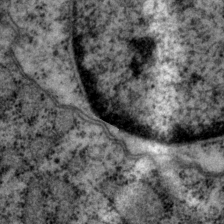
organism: P. pacificus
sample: Pharynx